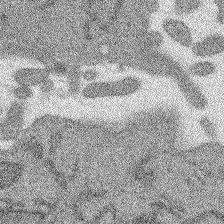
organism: Human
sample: HeLa cells